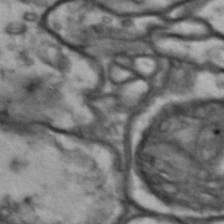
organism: Drosophila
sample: Brain